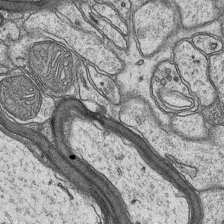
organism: Mouse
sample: CA1 Hippocampus